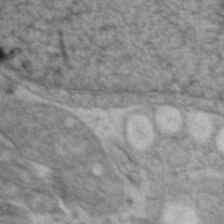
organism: Zebrafish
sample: Zebrafish embryo